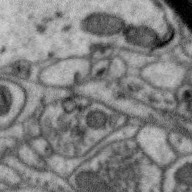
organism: Zebra finch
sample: Brain